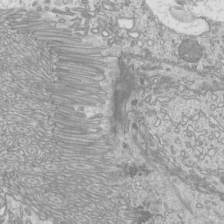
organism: Mouse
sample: Cilia; mouse epididymis